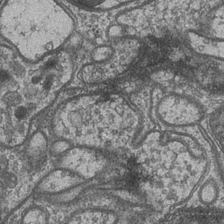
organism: Drosophila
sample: Optic medulla